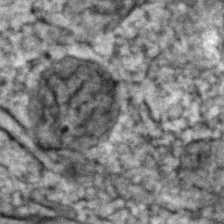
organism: Zebrafish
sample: Zebrafish embryo